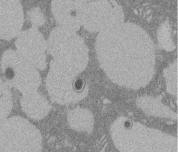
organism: Rat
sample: Salivary granule